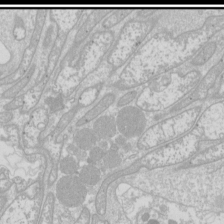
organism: Drosophila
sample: Cell division; meiosis; drosophila spermatocytes